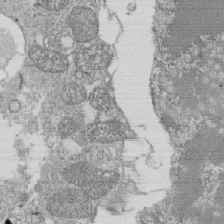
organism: Tetrahymena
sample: Cilia in tetrahymena